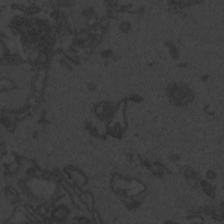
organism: Zebrafish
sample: Macrophage infected with Toxoplasma gondii